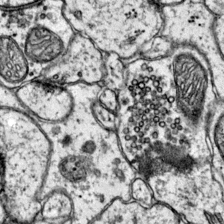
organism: Mouse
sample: Primary visual cortex